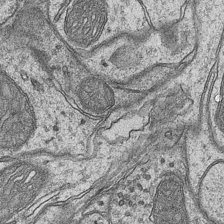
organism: Mouse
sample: CA1 Hippocampus